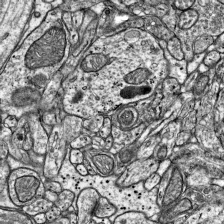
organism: Mouse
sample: Visual Cortex